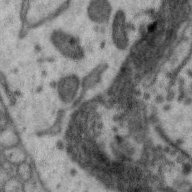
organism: Zebra finch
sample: Brain